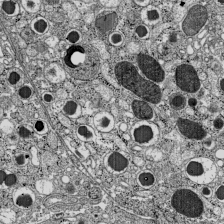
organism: C57BL Mouse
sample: Pancreatic islet